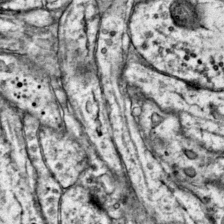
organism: Mouse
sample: Primary visual cortex